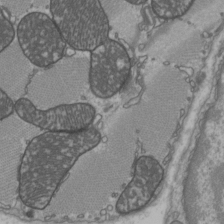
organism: C57BL Mouse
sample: Heart